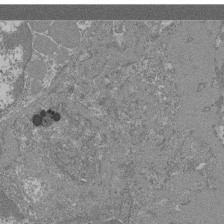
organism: Mouse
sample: Glomerulus